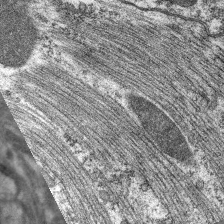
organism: C. elegans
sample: Pharynx